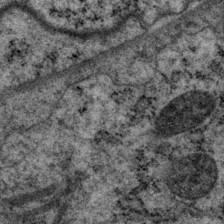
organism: P. pacificus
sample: Pharynx